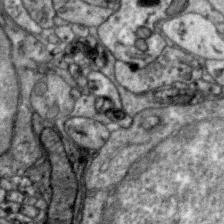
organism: Zebra finch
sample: Brain